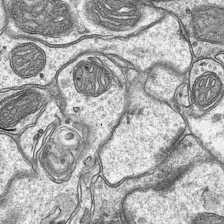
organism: Mouse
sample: CA1 Hippocampus